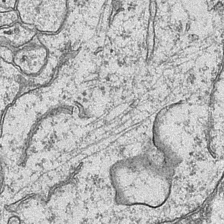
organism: Mouse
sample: CA1 Hippocampus